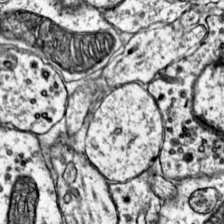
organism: Mouse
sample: Primary visual cortex